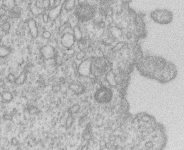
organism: Human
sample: Macrophage cells